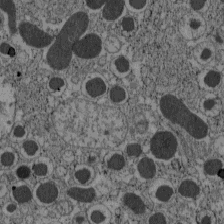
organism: C57BL Mouse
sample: Pancreatic islet